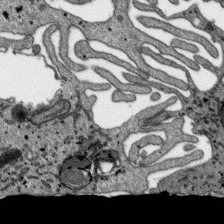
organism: Human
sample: Lung epithelial cells, uninfected (mock) control